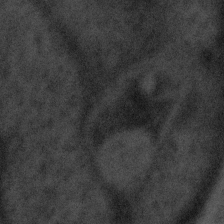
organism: Tuwongella immobilis